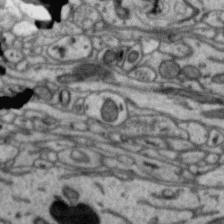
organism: Zebra finch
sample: Brain